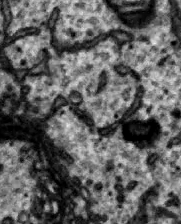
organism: Human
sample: HeLa cells